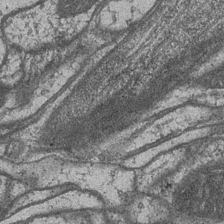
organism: Drosophila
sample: Optic medulla